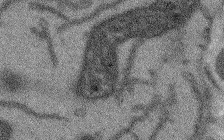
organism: Arabidopsis thaliana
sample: Root tip